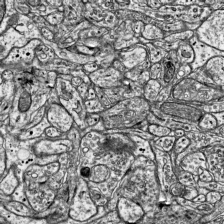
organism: Mouse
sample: Visual Cortex